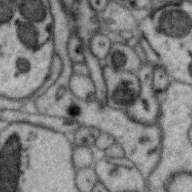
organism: Zebra finch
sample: Brain